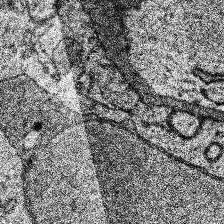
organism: Human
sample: Temporal Lobe